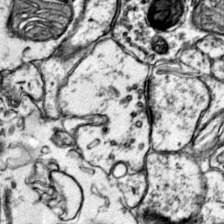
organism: Mouse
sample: Primary visual cortex